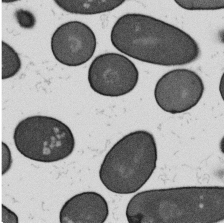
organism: B. subtilis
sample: Bacterial spore